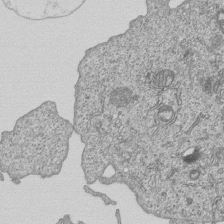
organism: Human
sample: MDA-MB-231 cells